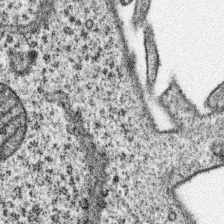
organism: Human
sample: HeLa cells